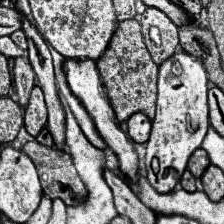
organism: Human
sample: Temporal Lobe